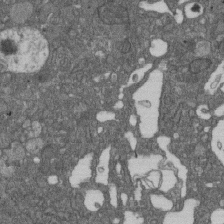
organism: Drosophila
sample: Nephrocyte